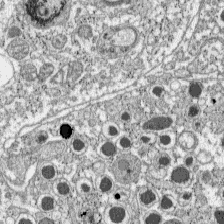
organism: C57BL Mouse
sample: Pancreatic islet